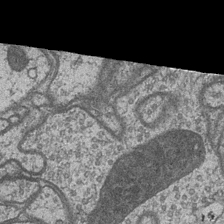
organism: Drosophila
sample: Optic medulla